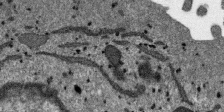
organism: Human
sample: Lung epithelial cells, uninfected (mock) control